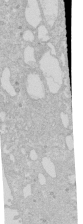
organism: Human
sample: Caco-2 cells